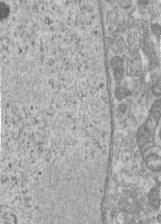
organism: Human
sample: Centriole in RPE cells